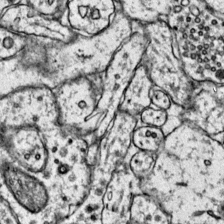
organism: Mouse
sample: Primary visual cortex